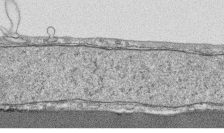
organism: Human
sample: CRL-1474